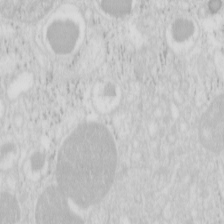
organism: Mouse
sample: Pancreas